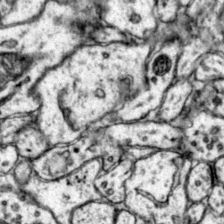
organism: Mouse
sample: Primary visual cortex